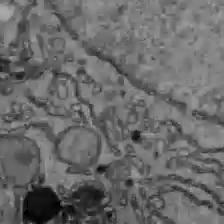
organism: C57BL Mouse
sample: Liver